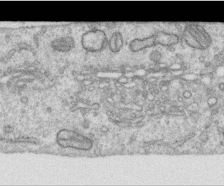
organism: Human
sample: Centriole in RPE cells